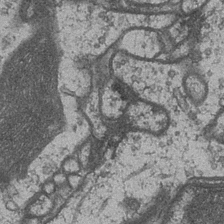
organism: Drosophila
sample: Optic medulla